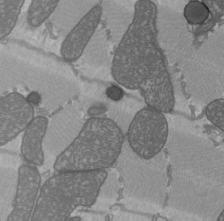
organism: C57BL Mouse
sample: Heart